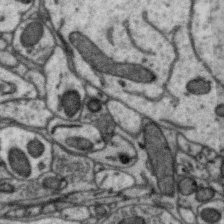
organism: Zebra finch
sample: Brain